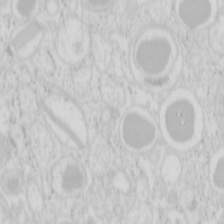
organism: Mouse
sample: Pancreas